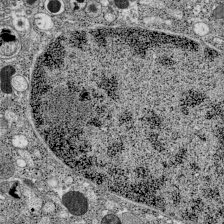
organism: C57BL Mouse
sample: Pancreatic islet